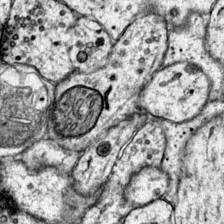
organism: Mouse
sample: Primary visual cortex